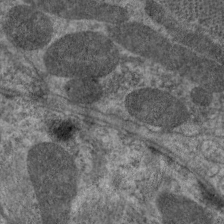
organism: C. elegans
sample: Pharynx